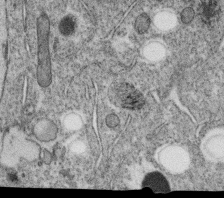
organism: C. elegans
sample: C. elegans oocyte; sperm cells